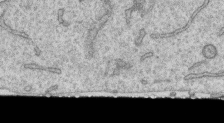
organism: Human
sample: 1205lu cells